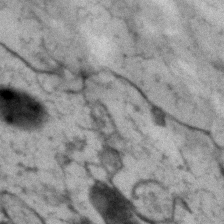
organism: Human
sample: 1205lu cells